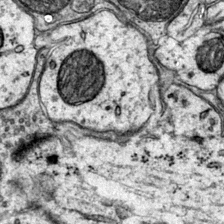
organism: Mouse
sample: Primary visual cortex